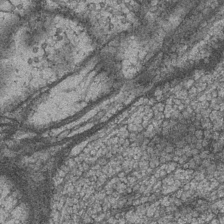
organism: Drosophila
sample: Optic medulla